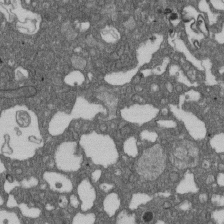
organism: Drosophila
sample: Nephrocyte